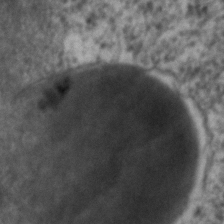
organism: C. elegans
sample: C. elegans embryo